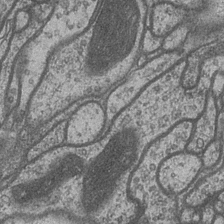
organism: Drosophila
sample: Optic medulla